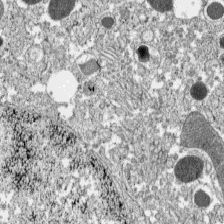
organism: C57BL Mouse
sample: Pancreatic islet